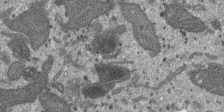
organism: Human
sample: Lung epithelial cells infected with SARS-CoV-2